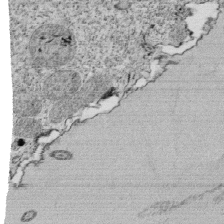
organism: Tetrahymena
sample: Cilia in tetrahymena